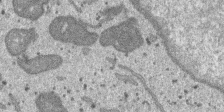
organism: Human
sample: Lung epithelial cells infected with SARS-CoV-2